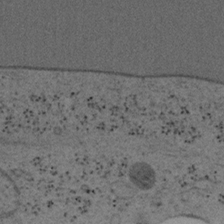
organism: Human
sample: HeLa cells